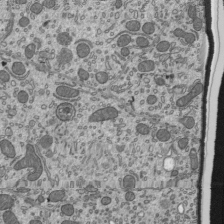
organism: Mouse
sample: Mouse epididymis efferent ductule cilia